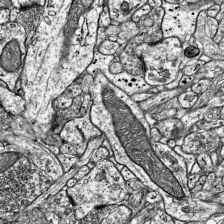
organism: Mouse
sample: Visual Cortex